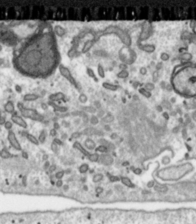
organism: Toxoplasma gondii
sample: Parasites in a vacuole inside a host cell